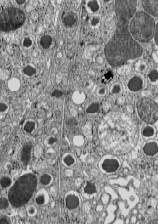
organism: C57BL Mouse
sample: Pancreatic islet